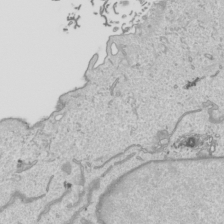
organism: Human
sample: Mitochondria in HCT116 cells